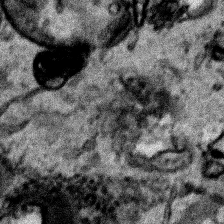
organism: Human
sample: Mitochondria in HCT116 cells